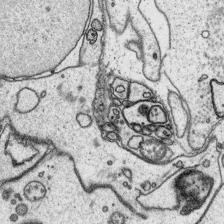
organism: Platynereis dumerilii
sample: Parapodia